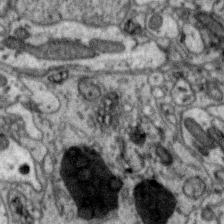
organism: Zebra finch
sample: Brain